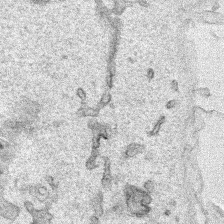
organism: Human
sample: Mitochondria in HCT116 cells